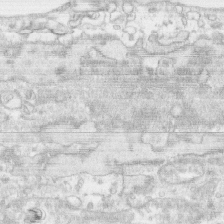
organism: Human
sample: CRL-1474